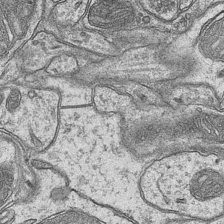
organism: Mouse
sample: CA1 Hippocampus